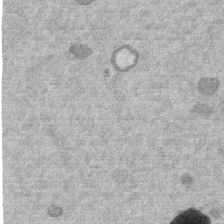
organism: Mouse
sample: Dividing mouse embryo 1 cell stage